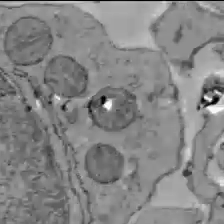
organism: C57BL Mouse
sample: Liver